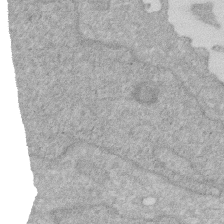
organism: Human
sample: HIV infected U937 cells